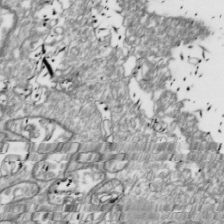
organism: Drosophila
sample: Cell division; meiosis; drosophila spermatocytes